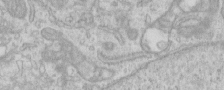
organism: Human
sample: Centriole in RPE cells